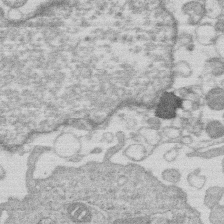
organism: Human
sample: Macrophage cells